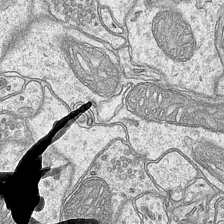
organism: Mouse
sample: CA1 Hippocampus